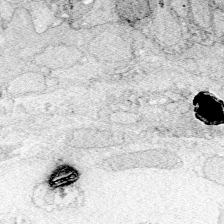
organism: Zebrafish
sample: Whole-Brain